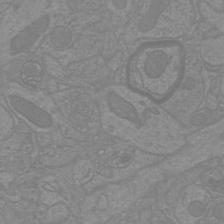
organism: Mouse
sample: Cortical neurons